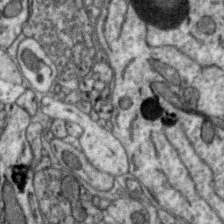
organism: Zebra finch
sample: Brain